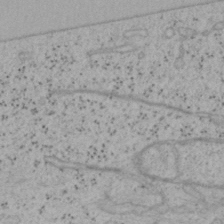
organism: Human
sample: HeLa cells